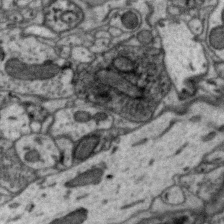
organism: Zebra finch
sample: Brain